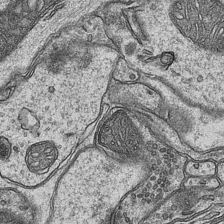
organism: Mouse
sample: CA1 Hippocampus